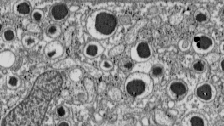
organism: C57BL Mouse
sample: Pancreatic islet